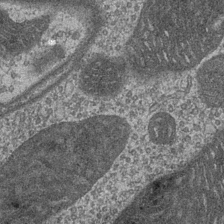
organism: Drosophila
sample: Optic medulla